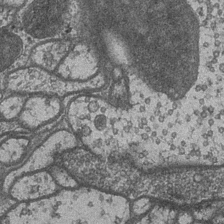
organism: Drosophila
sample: Optic medulla